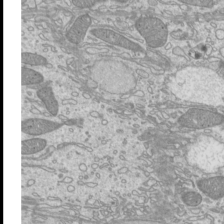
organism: Mouse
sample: Cilia; mouse epididymis